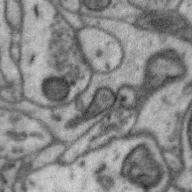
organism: Zebra finch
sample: Brain